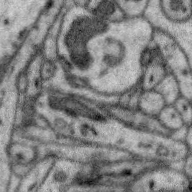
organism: Zebra finch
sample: Brain